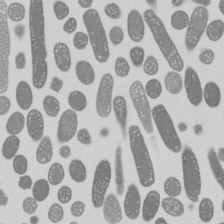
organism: E. coli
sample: Bacterial nucleoid